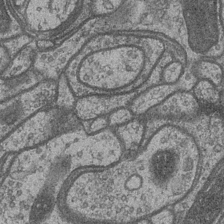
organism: Drosophila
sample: Optic medulla